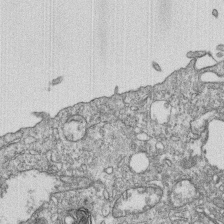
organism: Human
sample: HeLa cell HIV synapse